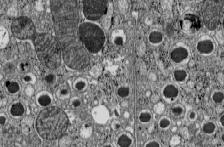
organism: C57BL Mouse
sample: Pancreatic islet